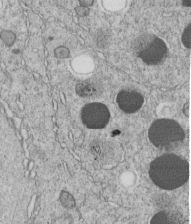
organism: C. elegans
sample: C. elegans embryo early stage